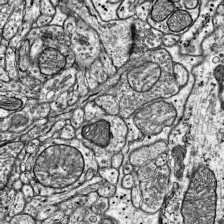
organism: Mouse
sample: Visual Cortex